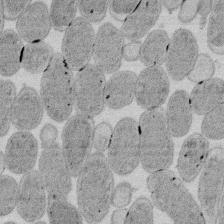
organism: E. coli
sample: Bacterial nucleoid